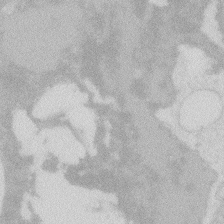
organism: Zebrafish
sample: Macrophage